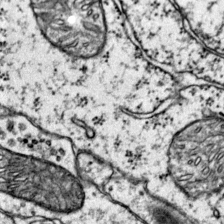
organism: Mouse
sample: Primary visual cortex